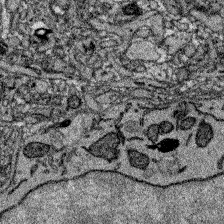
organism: Zebrafish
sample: Larval olfactory bulb